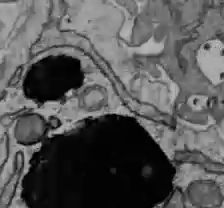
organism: C57BL Mouse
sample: Liver